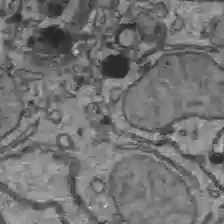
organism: C57BL Mouse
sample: Liver